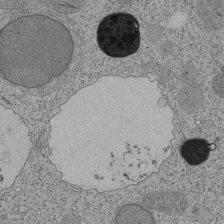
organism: Tetrahymena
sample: Cilia in tetrahymena